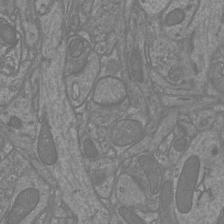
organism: Mouse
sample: Cortical neurons